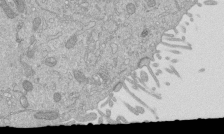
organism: Mouse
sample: ED-1 cell nuclei; centrioles